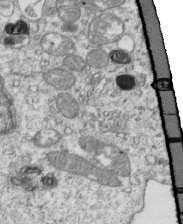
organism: Mouse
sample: Activated OT-1 CD8+ T cells